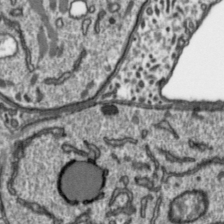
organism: Toxoplasma gondii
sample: Parasites in a vacuole inside a host cell